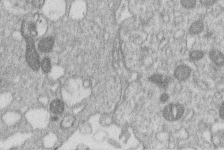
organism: Human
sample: Macrophage cells